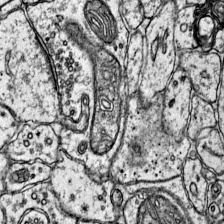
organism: Mouse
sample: Primary visual cortex